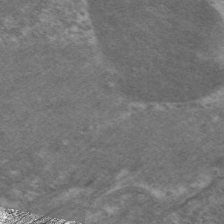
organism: C. elegans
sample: Pharynx